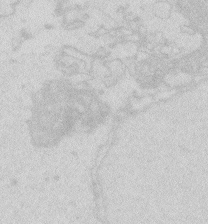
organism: Zebrafish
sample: Macrophage